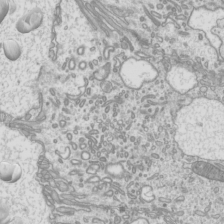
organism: Mouse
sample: Cilia; mouse epididymis